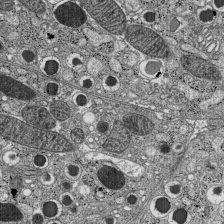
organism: C57BL Mouse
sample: Pancreatic islet